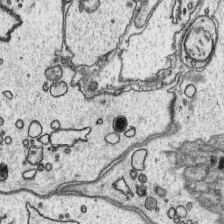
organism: Platynereis dumerilii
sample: Parapodia